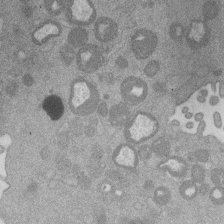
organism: Mouse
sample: Dividing mouse embryo 1 cell stage